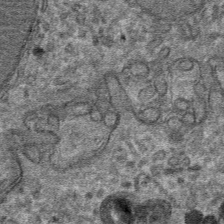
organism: Mouse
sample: Mouse hepatocytes